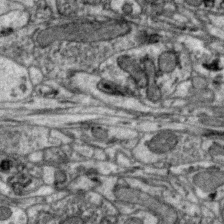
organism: Zebra finch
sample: Brain